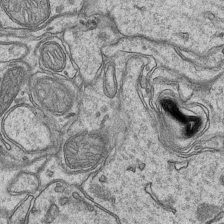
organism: Mouse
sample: CA1 Hippocampus